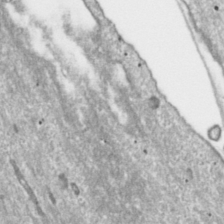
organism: Toxoplasma gondii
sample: Parasites in a vacuole inside a host cell